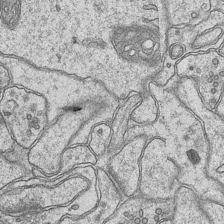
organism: Mouse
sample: CA1 Hippocampus